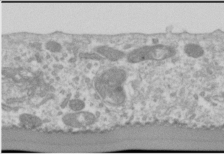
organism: Human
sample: Cilia; basal body in RPE cells